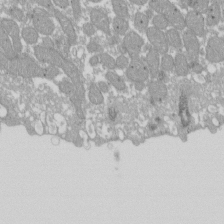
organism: Xenopus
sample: Cilia; centrioles in frog embryo cells